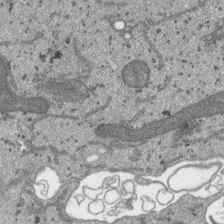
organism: Human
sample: Lung epithelial cells infected with SARS-CoV-2